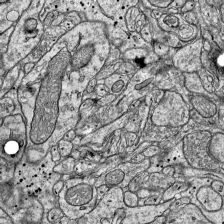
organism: Mouse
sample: Visual Cortex